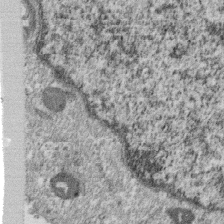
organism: African green monkey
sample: Vero E6 cells infected with SARS-CoV-2